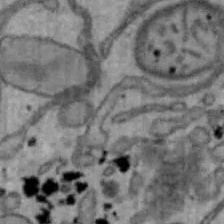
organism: Mouse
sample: Liver